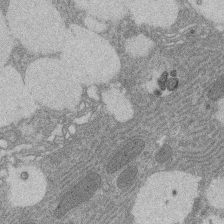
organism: Rat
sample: Salivary granule